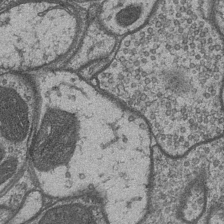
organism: Drosophila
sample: Optic medulla